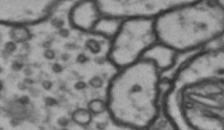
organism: Drosophila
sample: Brain